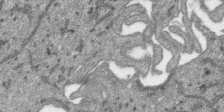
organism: Human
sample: Lung epithelial cells infected with SARS-CoV-2